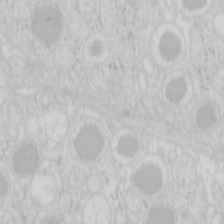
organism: Mouse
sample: Pancreas